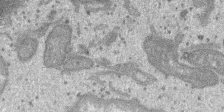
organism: Human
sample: Lung epithelial cells infected with SARS-CoV-2